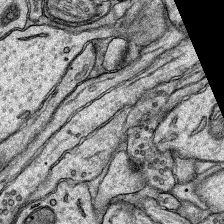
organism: Rat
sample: Hippocampus